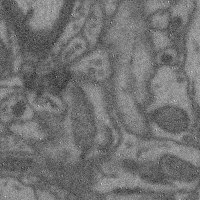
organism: Mouse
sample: Cerebral cortex